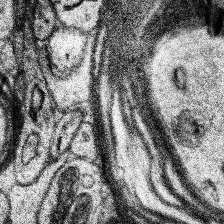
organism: Human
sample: Temporal Lobe